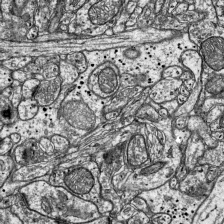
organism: Mouse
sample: Visual Cortex